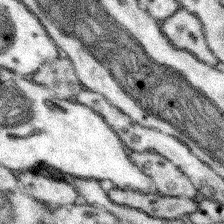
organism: Mouse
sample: Somatosensory cortex neuropil